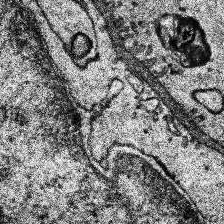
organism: Human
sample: Temporal Lobe